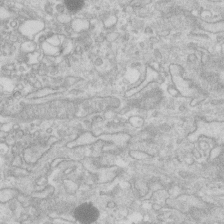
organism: Human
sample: Fibroblast cells